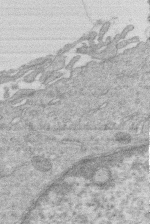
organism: Human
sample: Macrophage cells